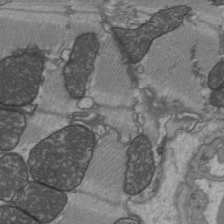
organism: C57BL Mouse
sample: Heart